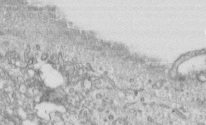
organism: Human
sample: Centriole in RPE cells